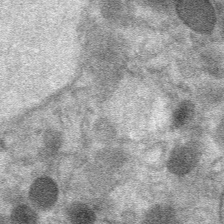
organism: Mouse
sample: Mouse Salivary gland